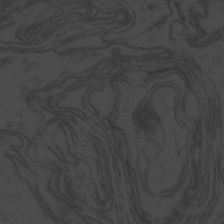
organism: Zebrafish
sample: Macrophage infected with Toxoplasma gondii